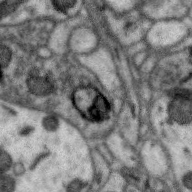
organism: Zebra finch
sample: Brain